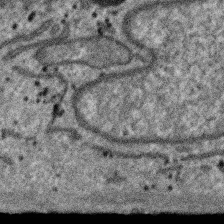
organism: Human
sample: Lung epithelial cells infected with SARS-CoV-2